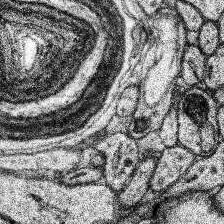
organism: Human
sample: Temporal Lobe